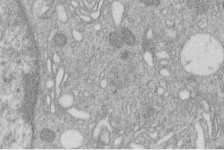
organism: Human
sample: Macrophage cells